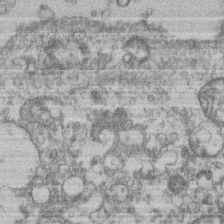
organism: Mouse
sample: T cell stromal cell synapse